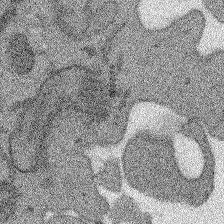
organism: Human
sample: HeLa cells